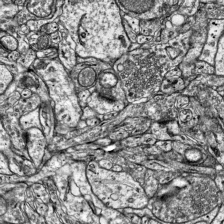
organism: Mouse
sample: Visual Cortex